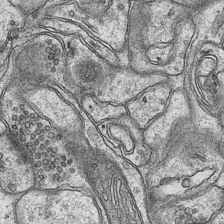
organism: Mouse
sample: CA1 Hippocampus